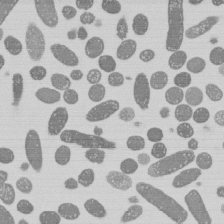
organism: E. coli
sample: Bacterial nucleoid